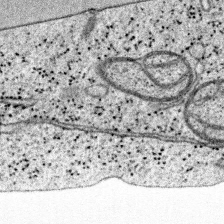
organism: Human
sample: HeLa cells